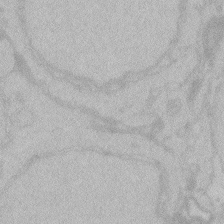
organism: Zebrafish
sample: Macrophage infected with Toxoplasma gondii